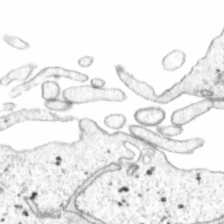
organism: Human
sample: HeLa cells